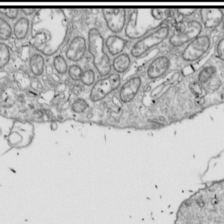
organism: Drosophila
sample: Cell division; meiosis; drosophila spermatocytes